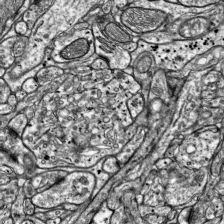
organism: Mouse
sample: Visual Cortex